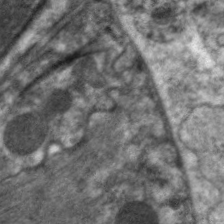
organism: C. elegans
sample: Pharynx